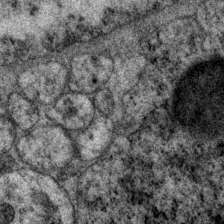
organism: P. pacificus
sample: Pharynx